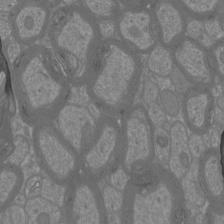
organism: Mouse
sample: Cortical neurons